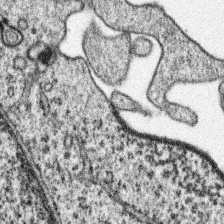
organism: Human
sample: HeLa cells